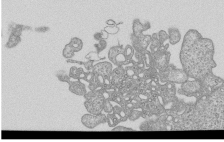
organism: Human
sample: MDA-MB-231 cells